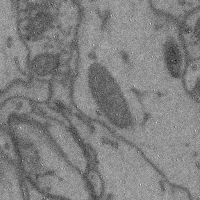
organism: Mouse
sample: Cerebral cortex